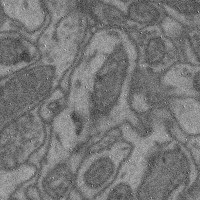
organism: Mouse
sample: Cerebral cortex